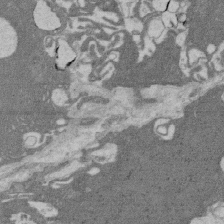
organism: Rat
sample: Salivary granule